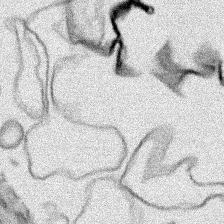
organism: Human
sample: Mitochondria in HCT116 cells